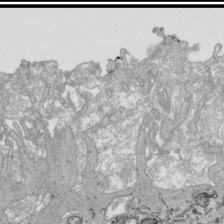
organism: Human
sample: Mitochondria in HCT116 cells